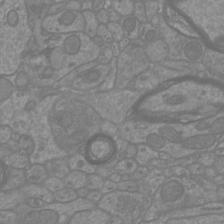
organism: Mouse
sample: Cortical neurons